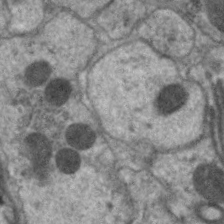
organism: C. elegans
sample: Pharynx